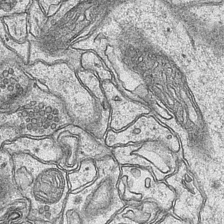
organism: Mouse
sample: CA1 Hippocampus